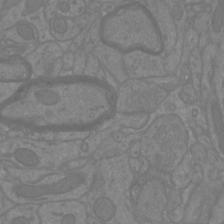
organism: Mouse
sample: Cortical neurons